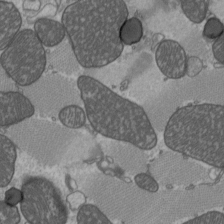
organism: C57BL Mouse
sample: Heart